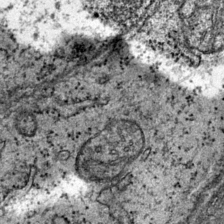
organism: Mouse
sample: Primary visual cortex